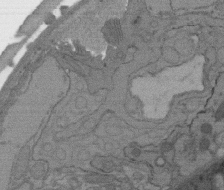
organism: C. elegans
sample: AFD neurons C. elegans